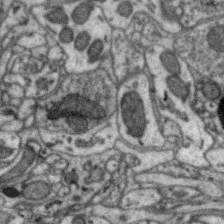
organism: Zebra finch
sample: Brain